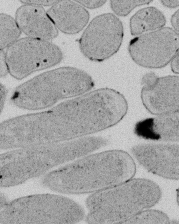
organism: E. coli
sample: Bacterial nucleoid